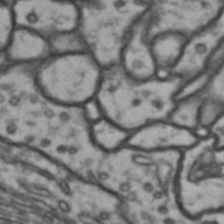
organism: Drosophila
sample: Brain